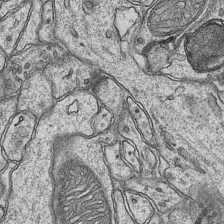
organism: Mouse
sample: CA1 Hippocampus